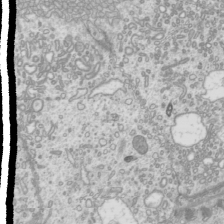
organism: Mouse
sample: Cilia; mouse epididymis